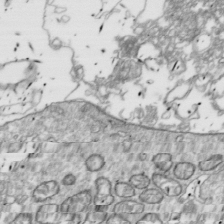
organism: Drosophila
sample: Cell division; meiosis; drosophila spermatocytes